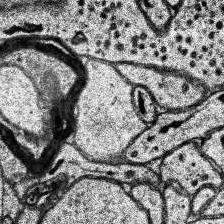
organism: Human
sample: Temporal Lobe